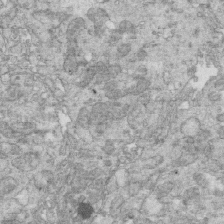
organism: Mouse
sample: Multiciliated cells